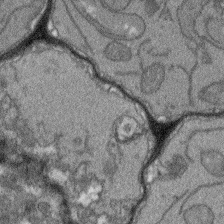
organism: Arabidopsis thaliana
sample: Root tip